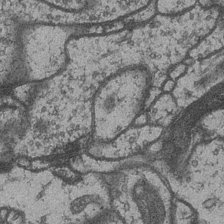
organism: Drosophila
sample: Optic medulla